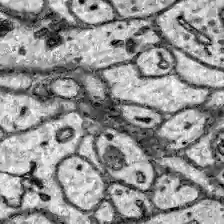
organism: Zebrafish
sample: Brain